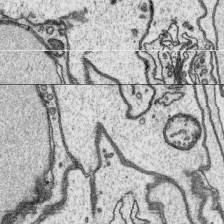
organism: Platynereis dumerilii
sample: Parapodia